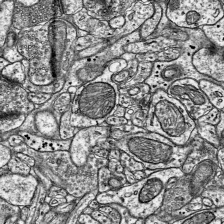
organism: Mouse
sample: Visual Cortex